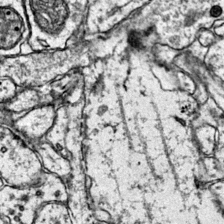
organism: Mouse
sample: Primary visual cortex